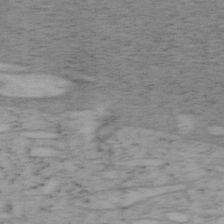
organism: Mouse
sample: OT-I killer T cells with ID8 ovarian cancer cells